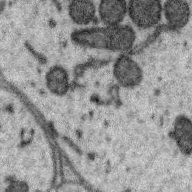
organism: Zebra finch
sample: Brain